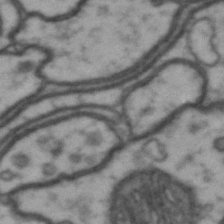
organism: Drosophila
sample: Brain